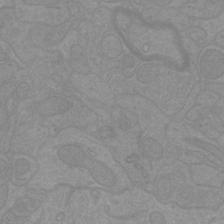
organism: Mouse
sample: Cortical neurons